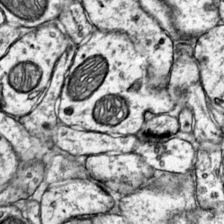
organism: Mouse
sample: Primary visual cortex